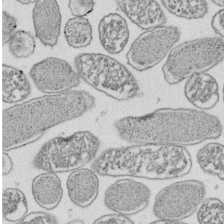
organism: E. coli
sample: Bacterial nucleoid